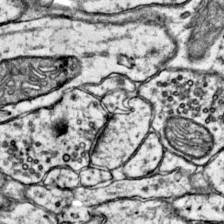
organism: Mouse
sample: Primary visual cortex